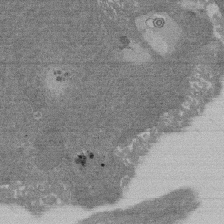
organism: Rat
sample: Salivary granule